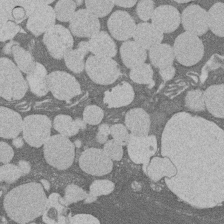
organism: Rat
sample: Salivary granule